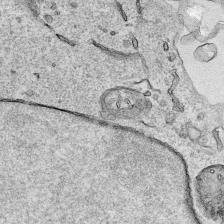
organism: Human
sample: Mitochondria in HCT116 cells